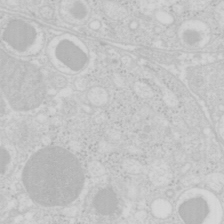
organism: Mouse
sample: Pancreas